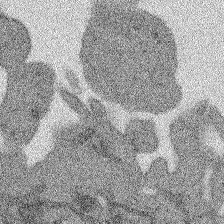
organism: Human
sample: HeLa cells